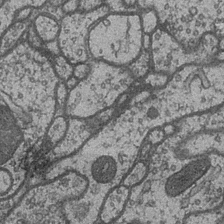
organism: Drosophila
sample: Optic medulla